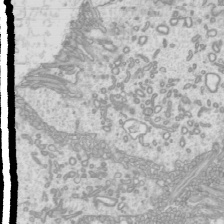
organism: Mouse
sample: Cilia; mouse epididymis